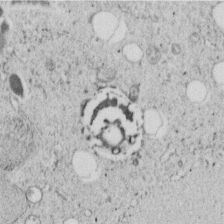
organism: C. elegans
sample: C. elegans embryo early stage